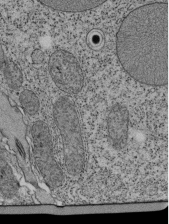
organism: Tetrahymena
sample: Cilia in tetrahymena